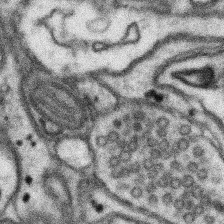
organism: Mouse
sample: Somatosensory cortex neuropil